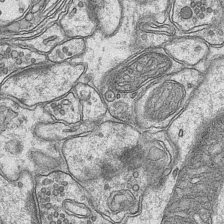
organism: Mouse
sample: CA1 Hippocampus